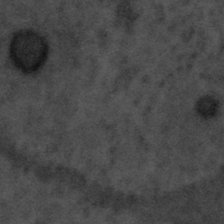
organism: Tuwongella immobilis